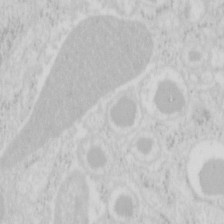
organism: Mouse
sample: Pancreas